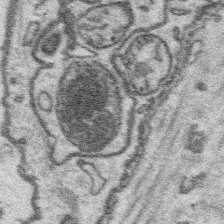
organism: Platynereis dumerilii